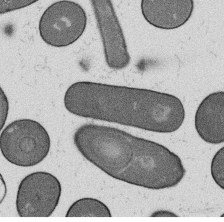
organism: B. subtilis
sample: Bacterial spore